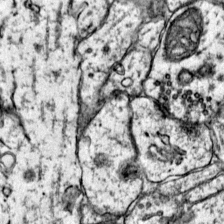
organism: Mouse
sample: Primary visual cortex